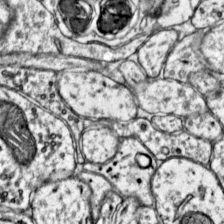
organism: Mouse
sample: Primary visual cortex